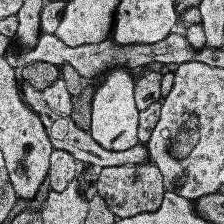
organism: Human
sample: Temporal Lobe